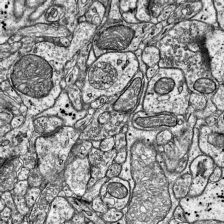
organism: Mouse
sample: Visual Cortex